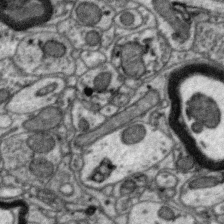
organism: Zebra finch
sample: Brain